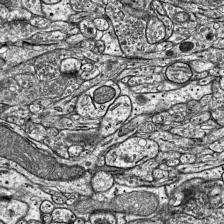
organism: Mouse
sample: Visual Cortex